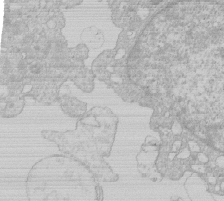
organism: Human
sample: Macrophage cells